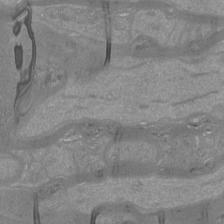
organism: Mouse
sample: Cortical neurons